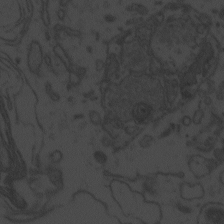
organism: Zebrafish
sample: Macrophage infected with Toxoplasma gondii